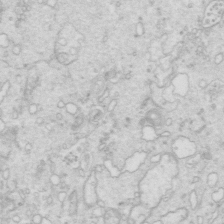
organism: Mouse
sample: Multiciliated cells